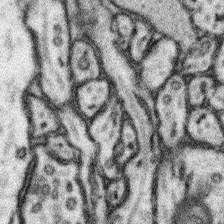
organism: Mouse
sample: Somatosensory cortex neuropil